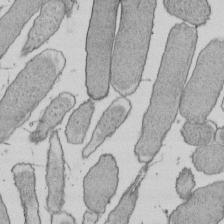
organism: E. coli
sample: Bacterial nucleoid